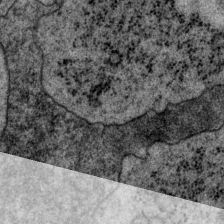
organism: P. pacificus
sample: Pharynx